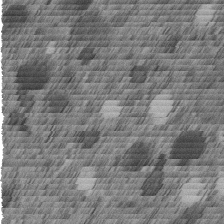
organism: C. elegans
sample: C. elegans embryo early stage